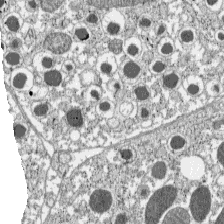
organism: C57BL Mouse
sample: Pancreatic islet